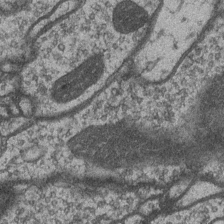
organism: Drosophila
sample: Optic medulla